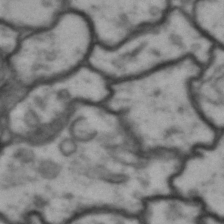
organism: Drosophila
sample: Brain